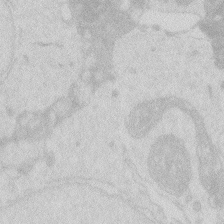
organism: Zebrafish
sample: Macrophage